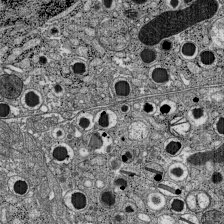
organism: C57BL Mouse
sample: Pancreatic islet